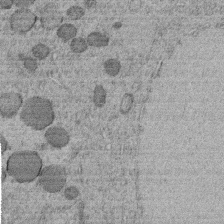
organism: C. elegans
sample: C. elegans embryo early stage